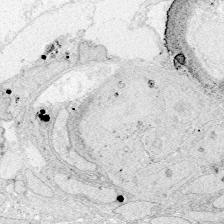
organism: Zebrafish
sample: Whole-Brain